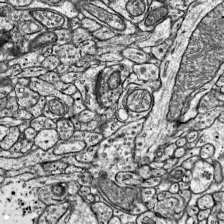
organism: Mouse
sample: Visual Cortex